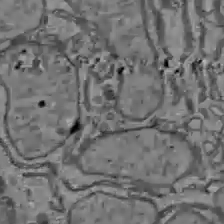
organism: C57BL Mouse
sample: Liver